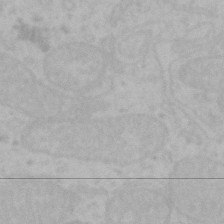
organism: Mouse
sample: Choroid plexus